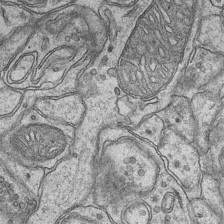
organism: Mouse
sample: CA1 Hippocampus